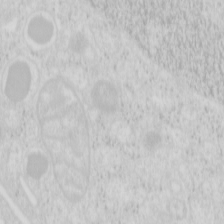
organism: Mouse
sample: Pancreas